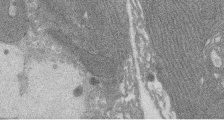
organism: Rat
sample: Salivary granule